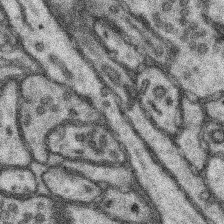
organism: Mouse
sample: Somatosensory cortex neuropil